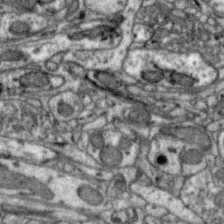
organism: Zebra finch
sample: Brain